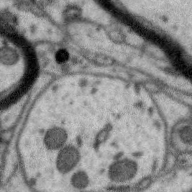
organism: Zebra finch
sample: Brain